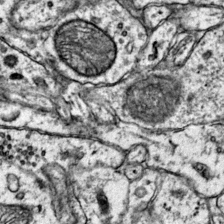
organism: Mouse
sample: Primary visual cortex